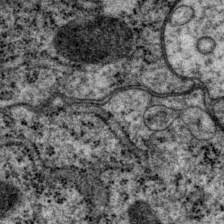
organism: P. pacificus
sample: Pharynx